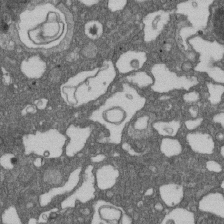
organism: Drosophila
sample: Nephrocyte